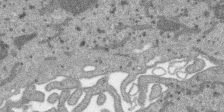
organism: Human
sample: Lung epithelial cells infected with SARS-CoV-2